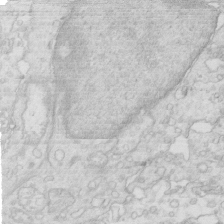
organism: Mouse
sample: Multiciliated cells